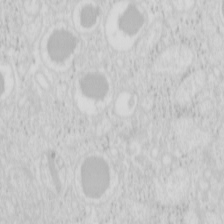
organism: Mouse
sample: Pancreas